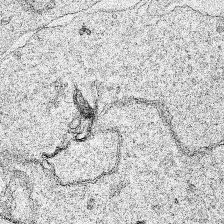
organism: Human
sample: Mitochondria in HCT116 cells